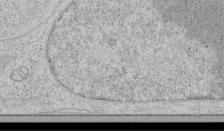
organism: Human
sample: Mitochondria in HCT116 cells